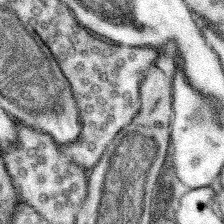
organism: Mouse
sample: Somatosensory cortex neuropil